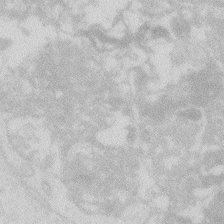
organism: Zebrafish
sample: Macrophage